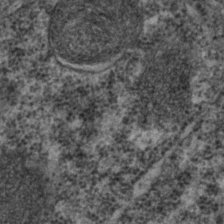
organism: C. elegans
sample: C. elegans embryo